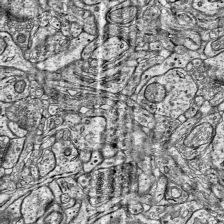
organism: Mouse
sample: Visual Cortex